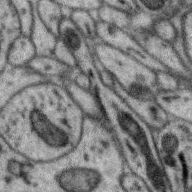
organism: Zebra finch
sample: Brain